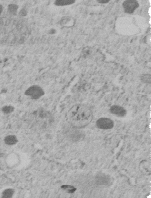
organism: C. elegans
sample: C. elegans embryo early stage